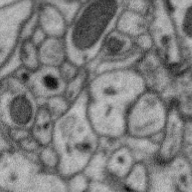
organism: Zebra finch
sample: Brain